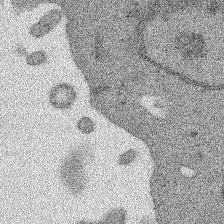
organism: Human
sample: HeLa cells